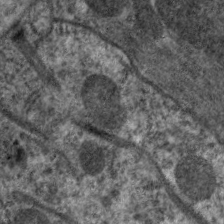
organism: C. elegans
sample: Pharynx